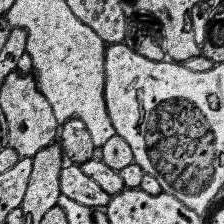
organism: Human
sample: Temporal Lobe